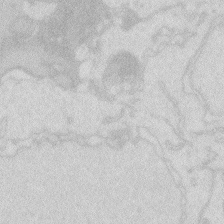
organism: Zebrafish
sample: Macrophage